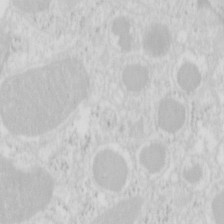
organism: Mouse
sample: Pancreas